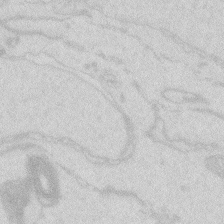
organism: Zebrafish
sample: Macrophage